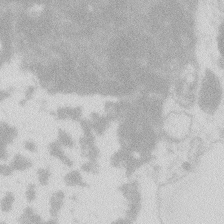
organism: Zebrafish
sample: Macrophage